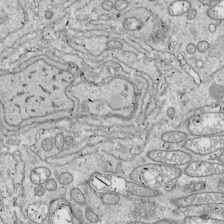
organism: Drosophila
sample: Cell division; meiosis; drosophila spermatocytes